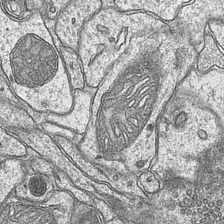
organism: Mouse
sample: CA1 Hippocampus